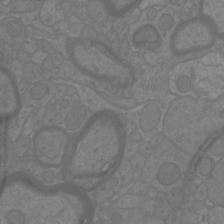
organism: Mouse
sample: Cortical neurons